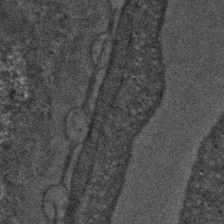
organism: C. elegans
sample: C. elegans embryo